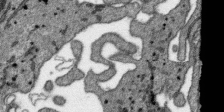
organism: Human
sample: Lung epithelial cells, uninfected (mock) control